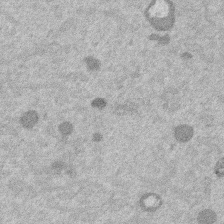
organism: Mouse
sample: Dividing mouse embryo 1 cell stage